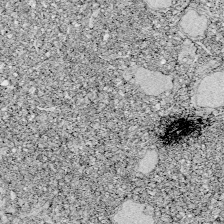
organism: Zebrafish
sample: Whole-Brain